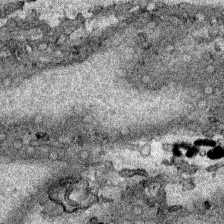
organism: Human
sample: Mitochondria in HCT116 cells